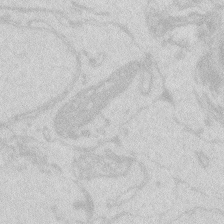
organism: Zebrafish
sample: Macrophage